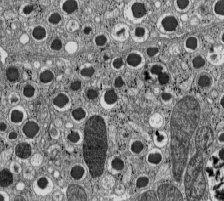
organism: C57BL Mouse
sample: Pancreatic islet